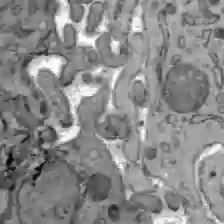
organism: C57BL Mouse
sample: Liver